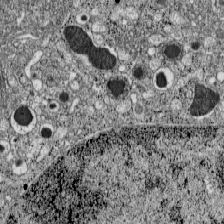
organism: C57BL Mouse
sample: Pancreatic islet